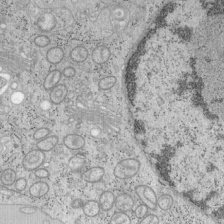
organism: Mouse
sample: OT-I killer T cells with ID8 ovarian cancer cells